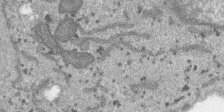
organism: Human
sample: Lung epithelial cells infected with SARS-CoV-2